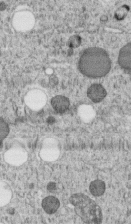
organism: C. elegans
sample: C. elegans embryo early stage